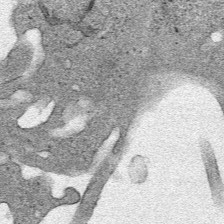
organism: Human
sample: Mitochondria in HCT116 cells